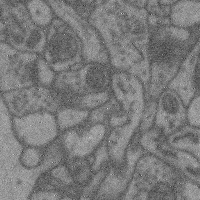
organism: Mouse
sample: Cerebral cortex